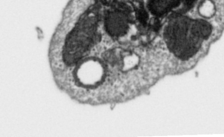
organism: Toxoplasma gondii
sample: Parasites in a vacuole inside a host cell